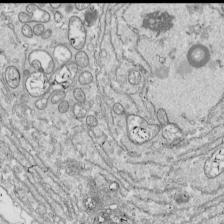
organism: Drosophila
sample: Cell division; meiosis; drosophila spermatocytes